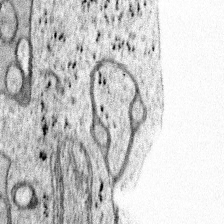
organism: Human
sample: HeLa cells